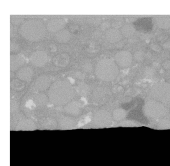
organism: C. elegans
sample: C. elegans oocyte; sperm cells